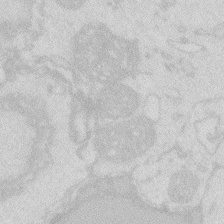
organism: Zebrafish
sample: Macrophage